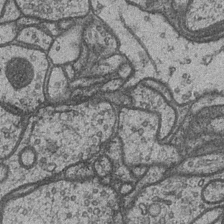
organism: Drosophila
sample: Optic medulla